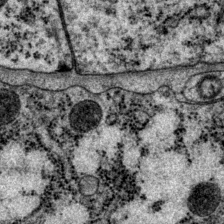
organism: P. pacificus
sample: Pharynx